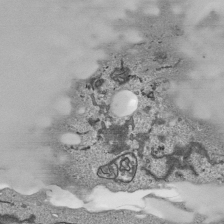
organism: Human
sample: Mitochondria in HCT116 cells